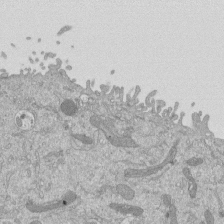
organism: Mouse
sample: ED-1 cell nuclei; centrioles